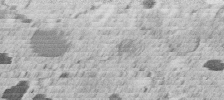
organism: C. elegans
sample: C. elegans embryo early stage